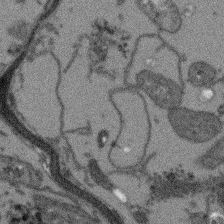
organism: Arabidopsis thaliana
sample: Root tip